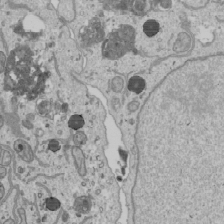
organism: Human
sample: Mitochondria in U2OS cells